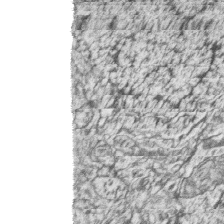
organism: Zebrafish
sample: synaptic ribbons in rod cells and cone cells